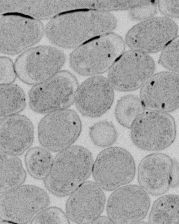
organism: E. coli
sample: Bacterial nucleoid